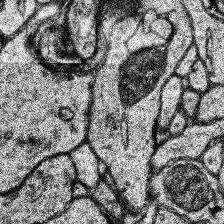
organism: Human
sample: Temporal Lobe